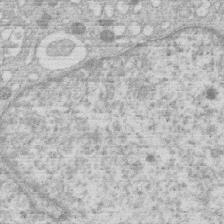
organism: Human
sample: Macrophage cells